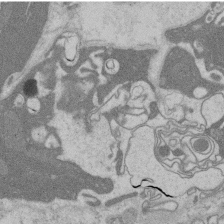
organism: Rat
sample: Salivary granule